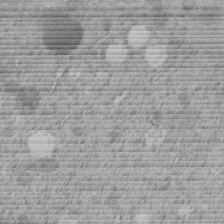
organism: C. elegans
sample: C. elegans embryo early stage